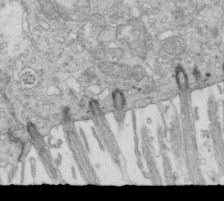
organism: Mouse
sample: Multiciliated cells